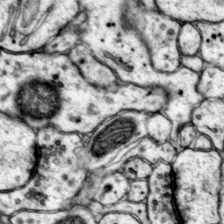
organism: Mouse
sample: Primary visual cortex